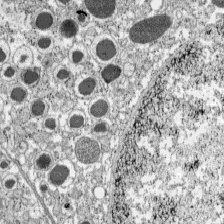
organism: C57BL Mouse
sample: Pancreatic islet